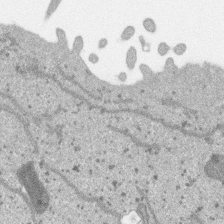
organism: Human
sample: Lung epithelial cells infected with SARS-CoV-2